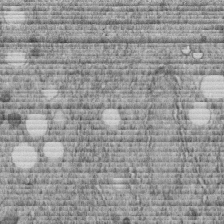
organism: C. elegans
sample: C. elegans embryo early stage